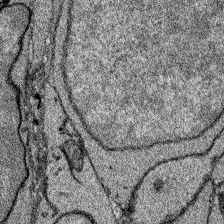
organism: Zebrafish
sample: Larval olfactory bulb